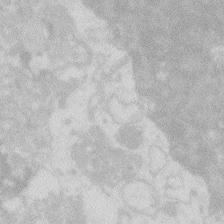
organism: Zebrafish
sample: Macrophage